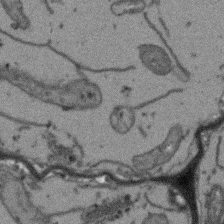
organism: Arabidopsis thaliana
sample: Root tip